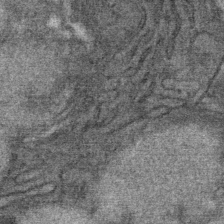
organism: Mouse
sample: Mouse Salivary gland